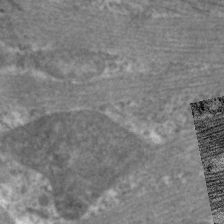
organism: C. elegans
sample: Pharynx